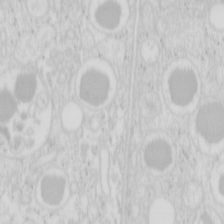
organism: Mouse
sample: Pancreas